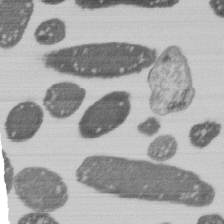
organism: E. coli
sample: Bacterial nucleoid